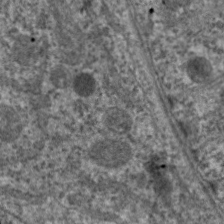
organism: C. elegans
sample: Pharynx